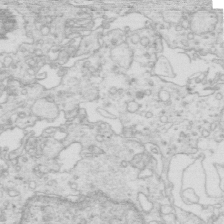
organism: Mouse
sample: Multiciliated cells